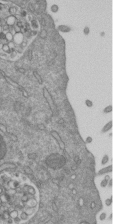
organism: Mouse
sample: ED-1 cell nuclei; centrioles